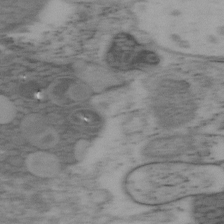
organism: Mouse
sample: OT-I killer T cells with ID8 ovarian cancer cells